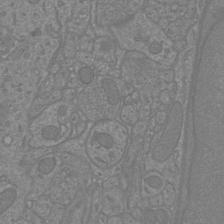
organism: Mouse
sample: Cortical neurons